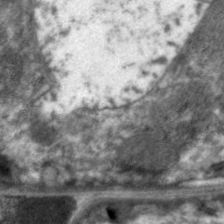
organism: C. elegans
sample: Pharynx